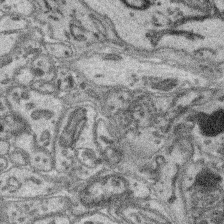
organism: Mouse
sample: Retina